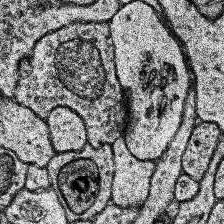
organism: Human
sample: Temporal Lobe